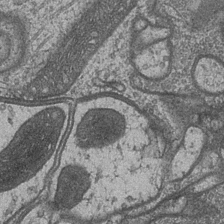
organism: Drosophila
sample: Optic medulla